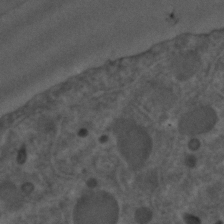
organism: C. elegans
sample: C. elegans embryo